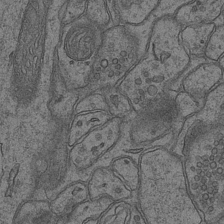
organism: Mouse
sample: CA1 Hippocampus